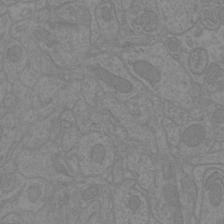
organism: Mouse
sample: Cortical neurons